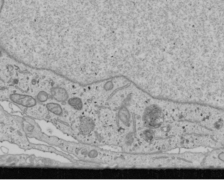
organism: Human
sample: Mitochondria in U2OS cells